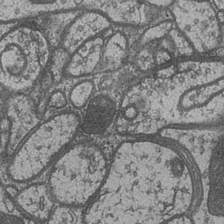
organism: Drosophila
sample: Optic medulla